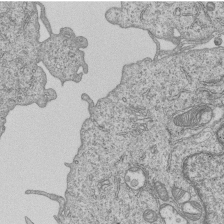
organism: Human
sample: MDA-MB-231 cells